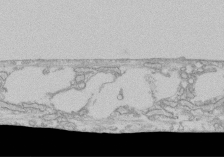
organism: Human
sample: CRL-1474